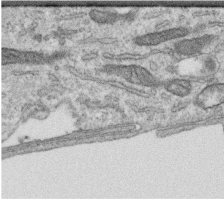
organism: Human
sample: Centriole in RPE cells